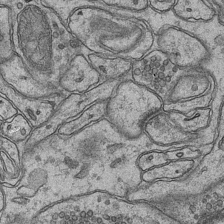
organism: Mouse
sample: CA1 Hippocampus